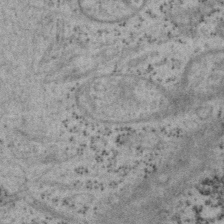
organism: Human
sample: HeLa cells